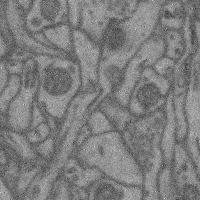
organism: Mouse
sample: Cerebral cortex